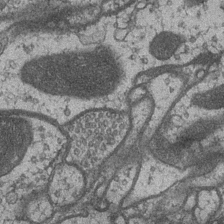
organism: Drosophila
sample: Optic medulla